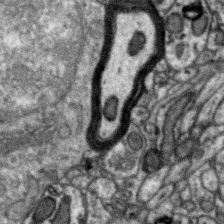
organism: Zebra finch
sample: Brain